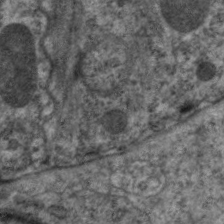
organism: C. elegans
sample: Pharynx